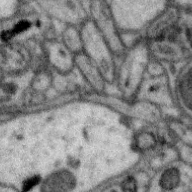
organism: Zebra finch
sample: Brain